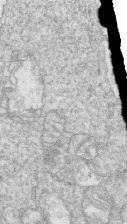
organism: Human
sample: HeLa cell HIV synapse